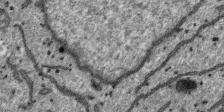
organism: Human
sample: Lung epithelial cells, uninfected (mock) control